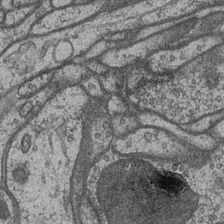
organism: Drosophila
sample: Optic medulla